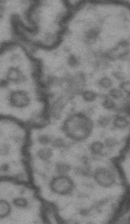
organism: Drosophila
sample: Brain